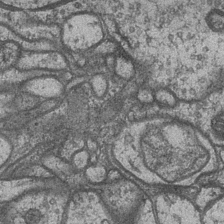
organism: Drosophila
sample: Optic medulla